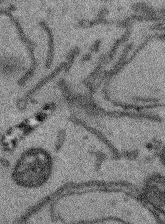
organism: Arabidopsis thaliana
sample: Root tip